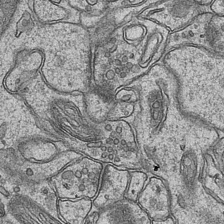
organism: Mouse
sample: CA1 Hippocampus